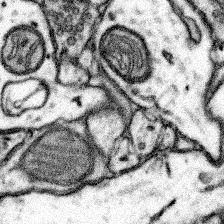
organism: Mouse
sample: Somatosensory cortex neuropil